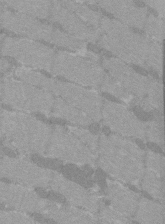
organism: C57BL Mouse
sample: Tibialis anterior muscle cell